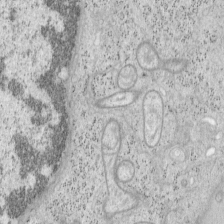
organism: Mouse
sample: OT-I killer T cells with ID8 ovarian cancer cells